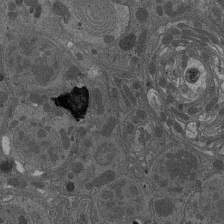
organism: Drosophila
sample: Antenna